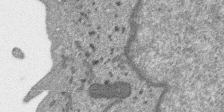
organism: Human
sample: Lung epithelial cells infected with SARS-CoV-2